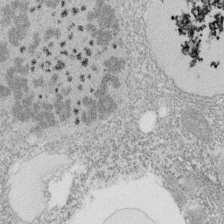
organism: Tetrahymena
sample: Cilia in tetrahymena